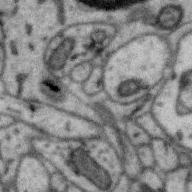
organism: Zebra finch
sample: Brain